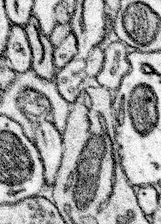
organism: Mouse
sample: Somatosensory cortex neuropil